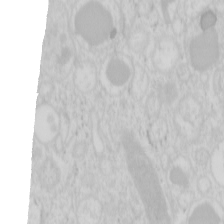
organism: Mouse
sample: Pancreas